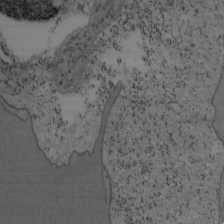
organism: Mouse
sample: OT-I killer T cells with ID8 ovarian cancer cells